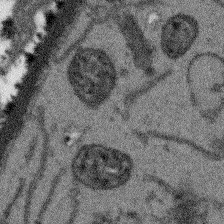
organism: Arabidopsis thaliana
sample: Root tip